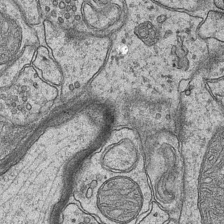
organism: Mouse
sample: CA1 Hippocampus